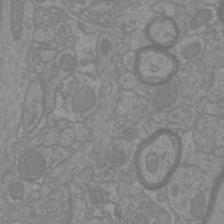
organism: Mouse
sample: Cortical neurons